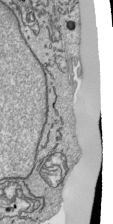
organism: Human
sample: Mitochondria in HCT116 cells